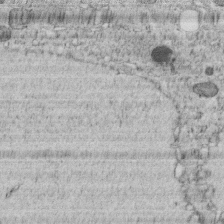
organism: C. elegans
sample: C. elegans embryo early stage